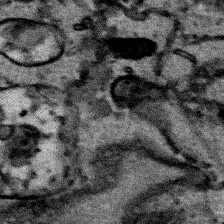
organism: Human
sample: Mitochondria in HCT116 cells